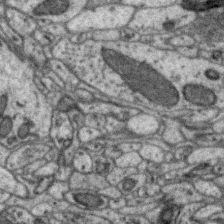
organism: Zebra finch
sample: Brain